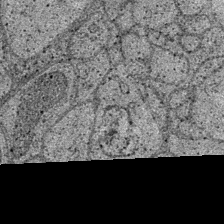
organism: Drosophila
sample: Optic medulla